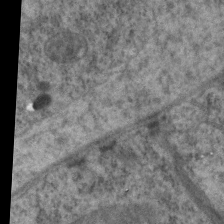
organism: C. elegans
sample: Pharynx